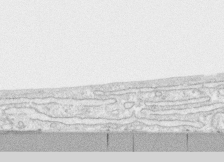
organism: Human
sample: CRL-1474